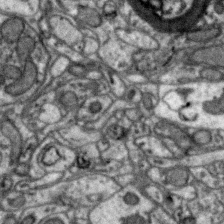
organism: Zebra finch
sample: Brain